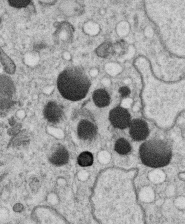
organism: C. elegans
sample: C. elegans oocyte; sperm cells